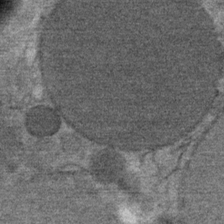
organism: Mouse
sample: Mouse Salivary gland